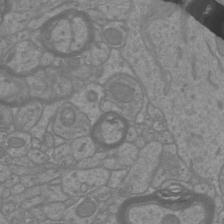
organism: Mouse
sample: Cortical neurons